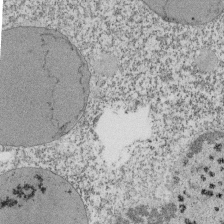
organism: Tetrahymena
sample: Cilia in tetrahymena